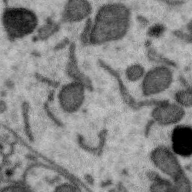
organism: Zebra finch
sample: Brain